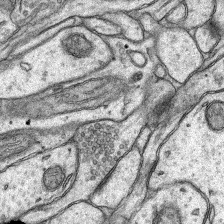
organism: Rat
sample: Hippocampus